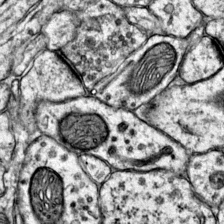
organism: Mouse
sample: Primary visual cortex